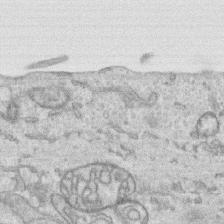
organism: Human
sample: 1205lu cells